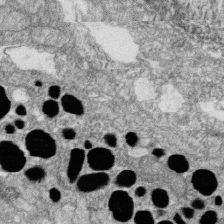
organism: Zebrafish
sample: Cilia; retinal pigment epithelium